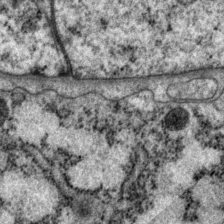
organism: P. pacificus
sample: Pharynx